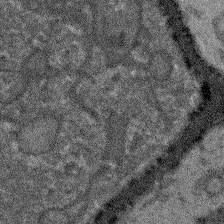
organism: Arabidopsis thaliana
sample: Root tip